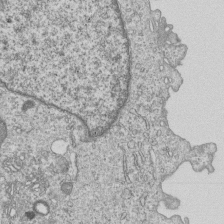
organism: Human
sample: MDA-MB-231 cells